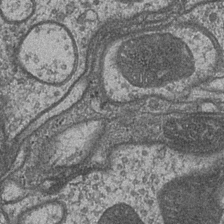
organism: Drosophila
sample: Optic medulla